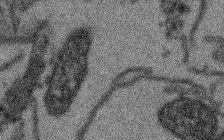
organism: Arabidopsis thaliana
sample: Root tip